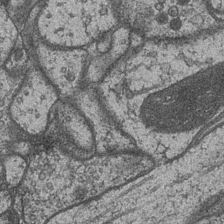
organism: Drosophila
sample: Optic medulla